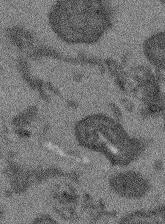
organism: Arabidopsis thaliana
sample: Root tip